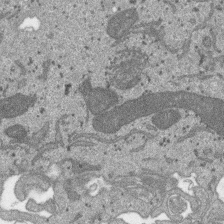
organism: Human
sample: Lung epithelial cells infected with SARS-CoV-2